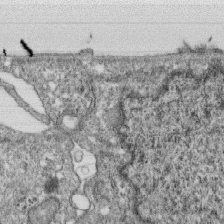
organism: African green monkey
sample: Vero E6 cells infected with SARS-CoV-2